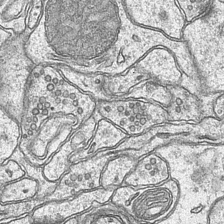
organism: Mouse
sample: CA1 Hippocampus